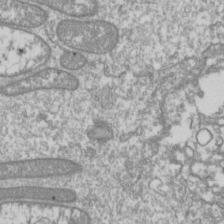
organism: Drosophila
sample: Cell division; meiosis; drosophila spermatocytes